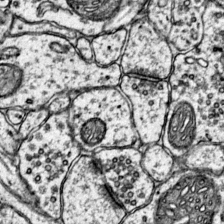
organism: Mouse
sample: Primary visual cortex